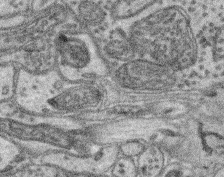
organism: Mouse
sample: Retina